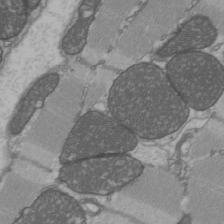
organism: C57BL Mouse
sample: Heart